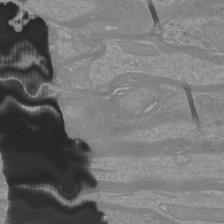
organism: Mouse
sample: Cortical neurons